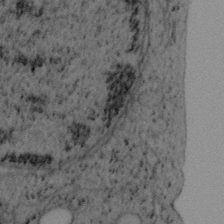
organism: Human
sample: HeLa cells